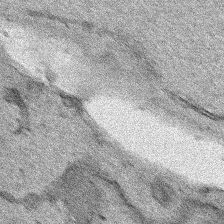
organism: Human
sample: Mitochondria in HCT116 cells